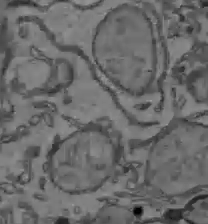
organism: C57BL Mouse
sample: Liver